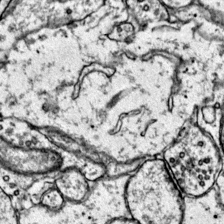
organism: Mouse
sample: Primary visual cortex